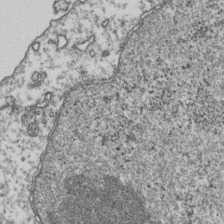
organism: Human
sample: Activated Jurkat CD4+ T cells